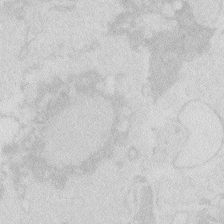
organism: Zebrafish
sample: Macrophage